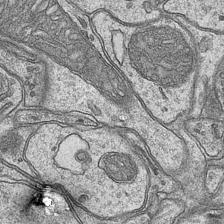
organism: Mouse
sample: CA1 Hippocampus